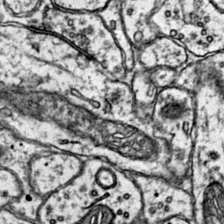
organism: Mouse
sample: Primary visual cortex